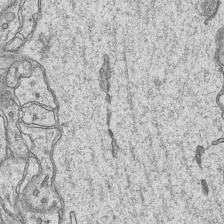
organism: Mouse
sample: CA1 Hippocampus